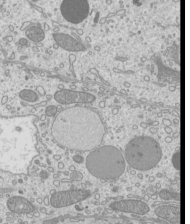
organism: Mouse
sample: Cilia; mouse epididymis